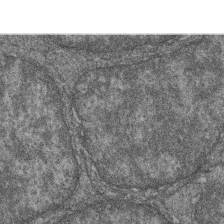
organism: Zebrafish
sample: Cilia; retinal pigment epithelium